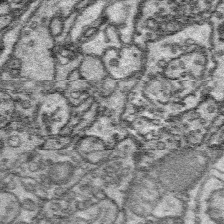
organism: Platynereis dumerilii